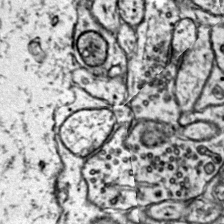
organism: Mouse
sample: Primary visual cortex